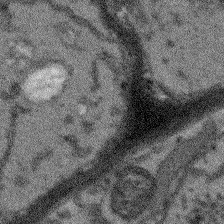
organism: Arabidopsis thaliana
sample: Root tip